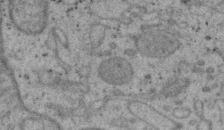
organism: Human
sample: HeLa cells